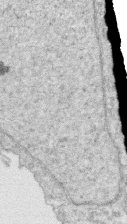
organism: Human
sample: HeLa cell HIV synapse